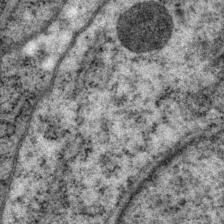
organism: P. pacificus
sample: Pharynx